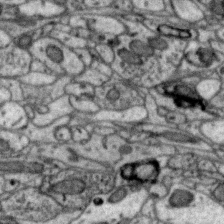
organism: Zebra finch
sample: Brain